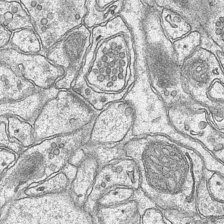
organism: Mouse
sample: CA1 Hippocampus